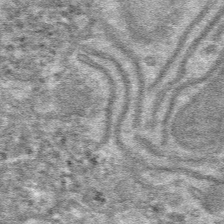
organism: Mouse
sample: Mouse hepatocytes